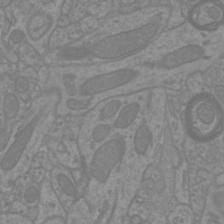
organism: Mouse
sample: Cortical neurons